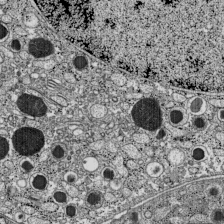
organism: C57BL Mouse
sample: Pancreatic islet